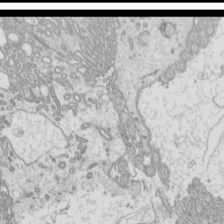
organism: Mouse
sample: Cilia; mouse epididymis